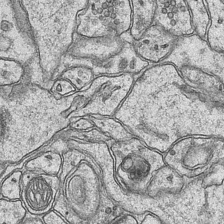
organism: Mouse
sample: CA1 Hippocampus